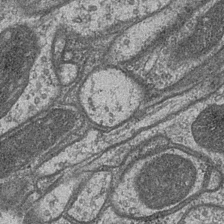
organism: Drosophila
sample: Optic medulla